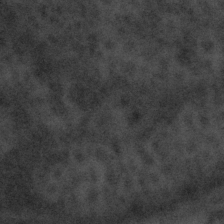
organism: Tuwongella immobilis